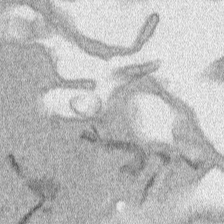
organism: Human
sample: Mitochondria in HCT116 cells